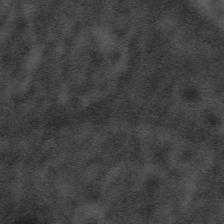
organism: Tuwongella immobilis